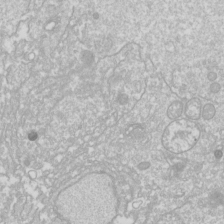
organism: Drosophila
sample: Cell division; meiosis; drosophila spermatocytes